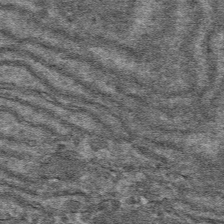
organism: Mouse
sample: Mouse hepatocytes